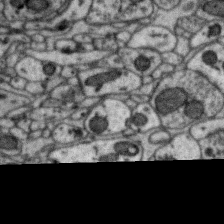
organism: Zebra finch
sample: Brain